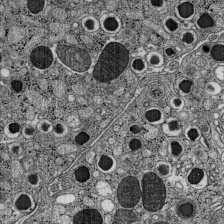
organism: C57BL Mouse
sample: Pancreatic islet